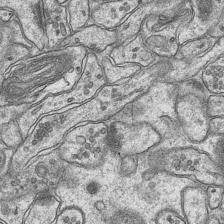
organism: Mouse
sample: CA1 Hippocampus